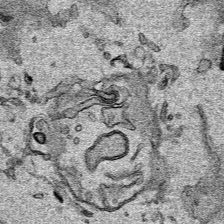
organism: Human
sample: Mitochondria in HCT116 cells